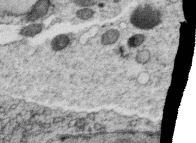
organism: C. elegans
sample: C. elegans oocyte; sperm cells